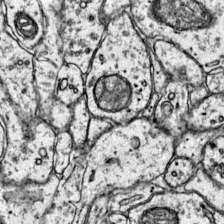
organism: Mouse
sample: Primary visual cortex